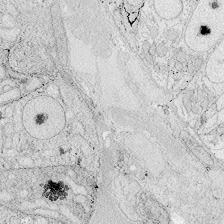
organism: Zebrafish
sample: Whole-Brain